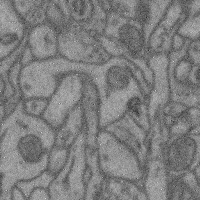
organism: Mouse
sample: Cerebral cortex